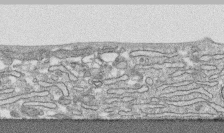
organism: Human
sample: CRL-1474